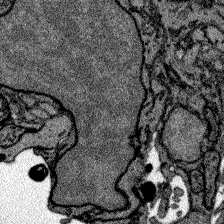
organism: Zebrafish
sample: Larval olfactory bulb